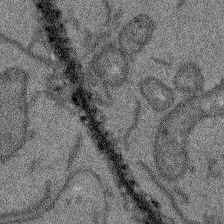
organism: Arabidopsis thaliana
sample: Root tip